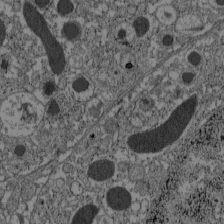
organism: C57BL Mouse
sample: Pancreatic islet